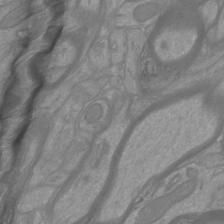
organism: Mouse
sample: Cortical neurons